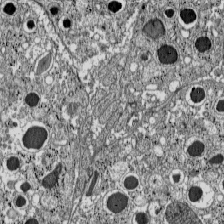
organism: C57BL Mouse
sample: Pancreatic islet